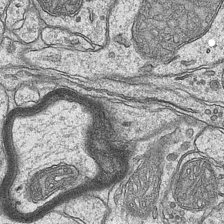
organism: Mouse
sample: CA1 Hippocampus